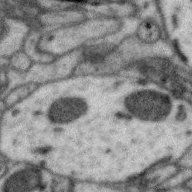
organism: Zebra finch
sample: Brain